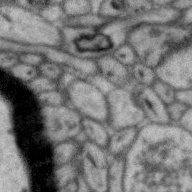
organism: Zebra finch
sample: Brain